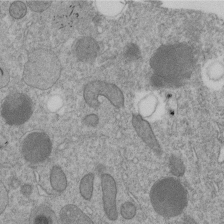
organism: C. elegans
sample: C. elegans embryo early stage